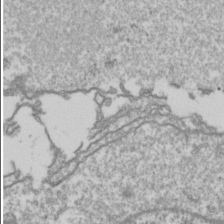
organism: Drosophila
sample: Cell division; meiosis; drosophila spermatocytes